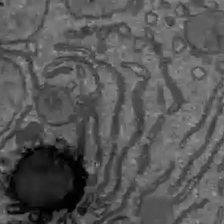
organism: C57BL Mouse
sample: Liver